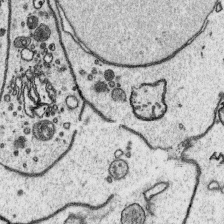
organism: Platynereis dumerilii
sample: Parapodia